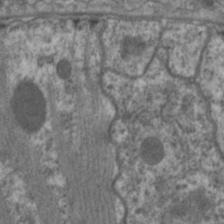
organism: C. elegans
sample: Pharynx